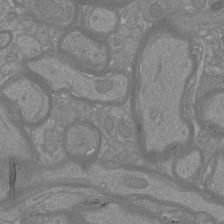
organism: Mouse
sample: Cortical neurons